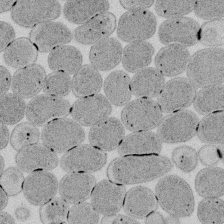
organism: E. coli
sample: Bacterial nucleoid